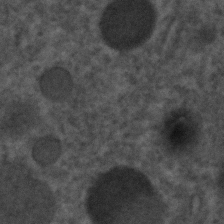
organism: C. elegans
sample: C. elegans embryo